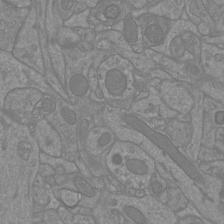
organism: Mouse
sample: Cortical neurons